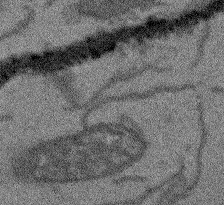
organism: Arabidopsis thaliana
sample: Root tip